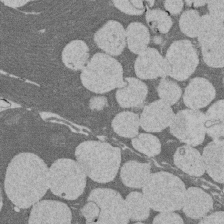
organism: Rat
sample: Salivary granule